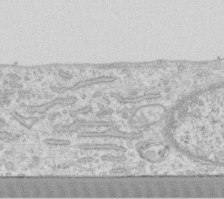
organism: Human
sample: Fibroblast cells